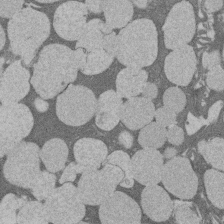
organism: Rat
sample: Salivary granule